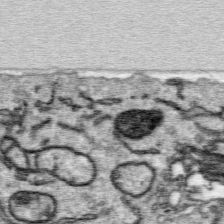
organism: Human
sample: HeLa cells